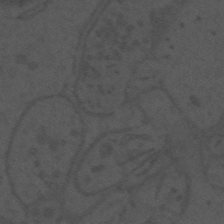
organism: Mouse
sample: Suprachiasmatic nucleus